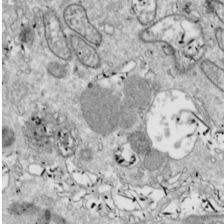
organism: Drosophila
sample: Cell division; meiosis; drosophila spermatocytes